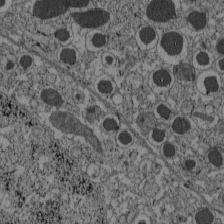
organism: C57BL Mouse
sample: Pancreatic islet